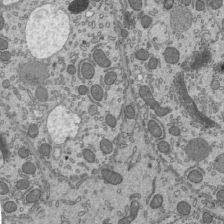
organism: Mouse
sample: Mouse epididymis efferent ductule cilia